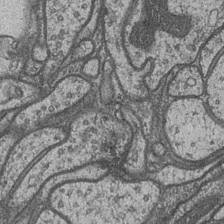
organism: Drosophila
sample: Optic medulla